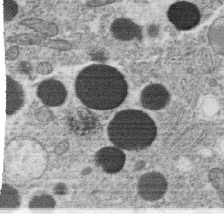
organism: C. elegans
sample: C. elegans oocyte; sperm cells